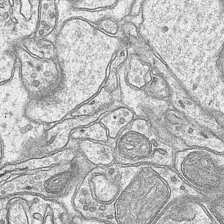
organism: Mouse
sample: CA1 Hippocampus